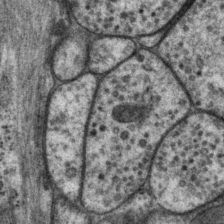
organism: P. pacificus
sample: Pharynx